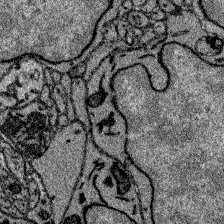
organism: Zebrafish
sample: Larval olfactory bulb